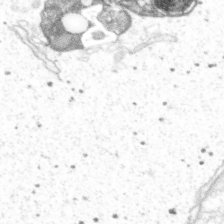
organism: Human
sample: HeLa cells